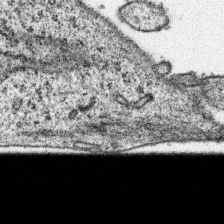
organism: Human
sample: HeLa cells